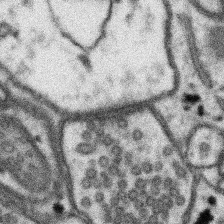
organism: Mouse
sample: Somatosensory cortex neuropil